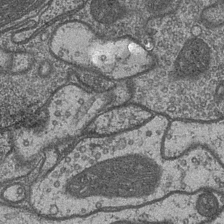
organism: Drosophila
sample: Optic medulla